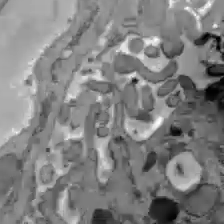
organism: C57BL Mouse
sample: Liver